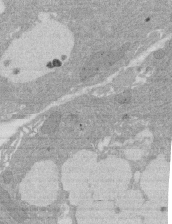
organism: Rat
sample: Salivary granule